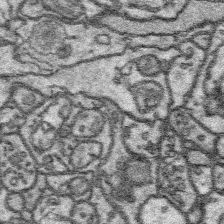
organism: Platynereis dumerilii